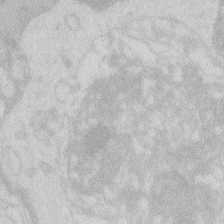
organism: Zebrafish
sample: Macrophage